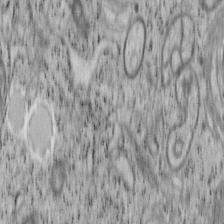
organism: Human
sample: HeLa cells